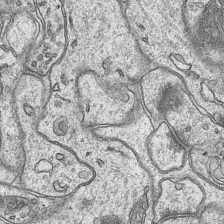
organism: Mouse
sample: CA1 Hippocampus